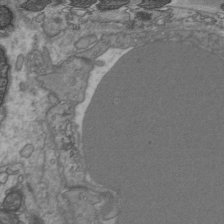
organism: C57BL Mouse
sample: Heart